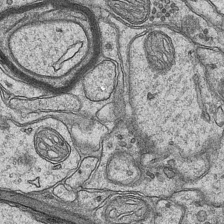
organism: Mouse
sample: CA1 Hippocampus